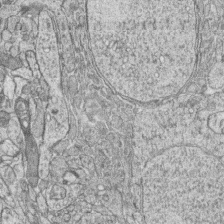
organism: Zebrafish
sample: synaptic ribbons in rod cells and cone cells